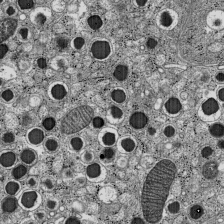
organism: C57BL Mouse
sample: Pancreatic islet